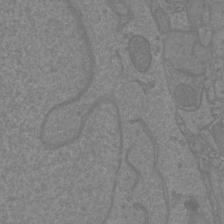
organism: Mouse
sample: Cortical neurons